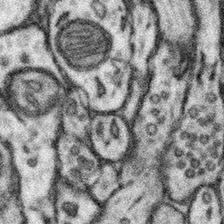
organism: Mouse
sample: Somatosensory cortex neuropil